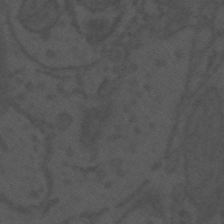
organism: Mouse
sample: Suprachiasmatic nucleus